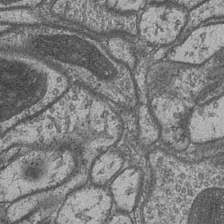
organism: Drosophila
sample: Optic medulla